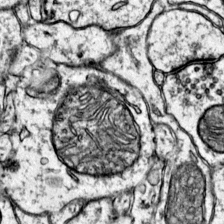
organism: Mouse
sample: Primary visual cortex